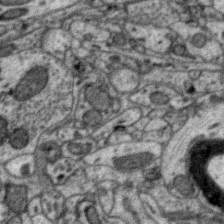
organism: Zebra finch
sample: Brain